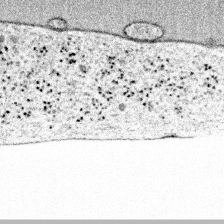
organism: Human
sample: HeLa cells